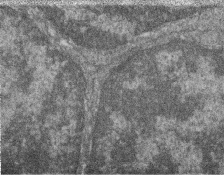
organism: Zebrafish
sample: Cilia; retinal pigment epithelium